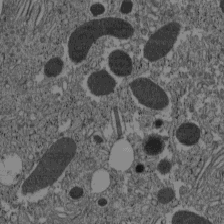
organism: C57BL Mouse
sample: Pancreatic islet